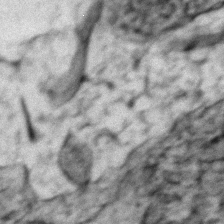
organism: Zebrafish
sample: Zebrafish embryo